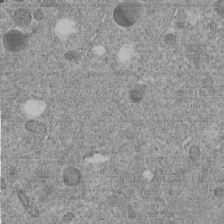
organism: C. elegans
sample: C. elegans embryo early stage